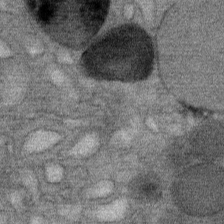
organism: Mouse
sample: Mouse Salivary gland